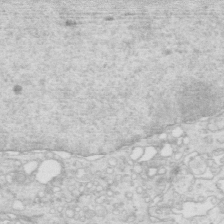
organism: Mouse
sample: Multiciliated cells